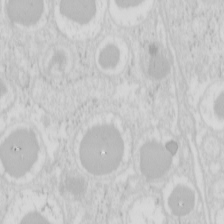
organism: Mouse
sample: Pancreas